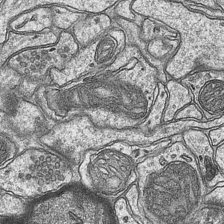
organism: Mouse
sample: CA1 Hippocampus